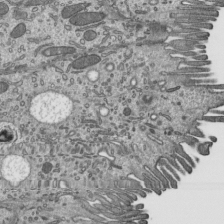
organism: Mouse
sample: Mouse epididymis efferent ductule cilia